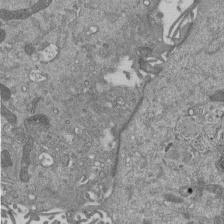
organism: Mouse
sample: ED-1 cell nuclei; centrioles